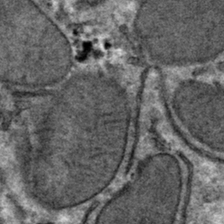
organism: Mouse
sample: Mouse hepatocytes